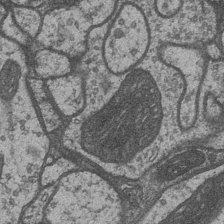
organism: Drosophila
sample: Optic medulla